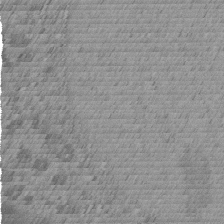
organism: C. elegans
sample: C. elegans embryo early stage